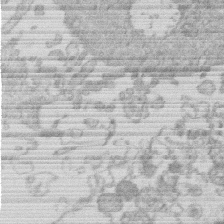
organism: Human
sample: Macrophage cells